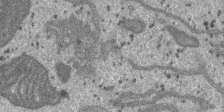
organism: Human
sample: Lung epithelial cells infected with SARS-CoV-2